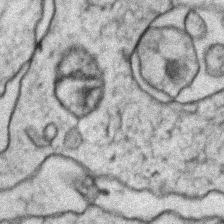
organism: Zebrafish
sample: Zebrafish embryo